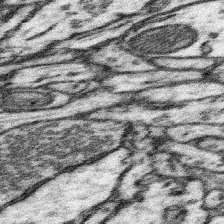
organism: Mouse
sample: Somatosensory cortex neuropil